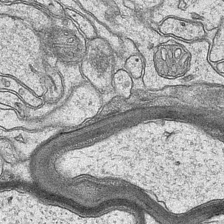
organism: Mouse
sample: CA1 Hippocampus